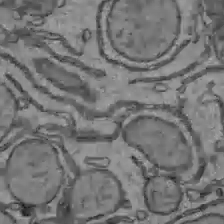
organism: C57BL Mouse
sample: Liver